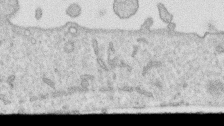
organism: Human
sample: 1205lu cells